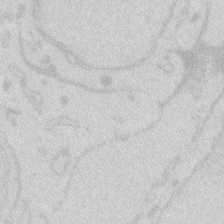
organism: Zebrafish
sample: Macrophage